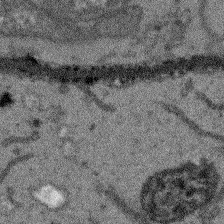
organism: Arabidopsis thaliana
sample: Root tip